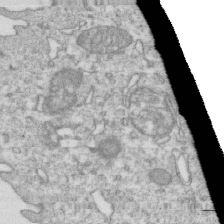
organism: Mouse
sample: Activated OT-1 CD8+ T cells